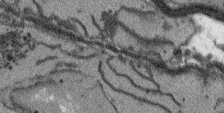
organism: Arabidopsis thaliana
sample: Root tip